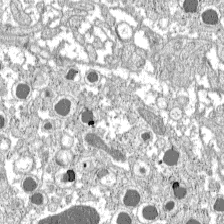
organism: C57BL Mouse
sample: Pancreatic islet